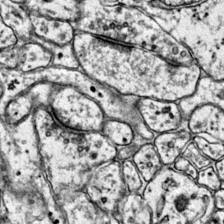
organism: Mouse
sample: Primary visual cortex